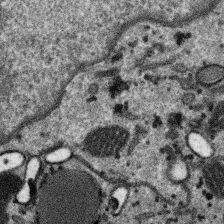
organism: Human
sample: Lung epithelial cells infected with SARS-CoV-2